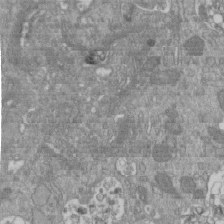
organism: Mouse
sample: ED-1 cell nuclei; centrioles